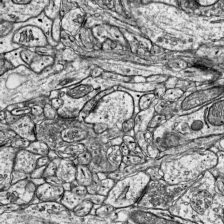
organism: Mouse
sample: Visual Cortex